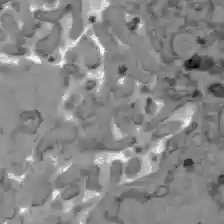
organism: C57BL Mouse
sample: Liver